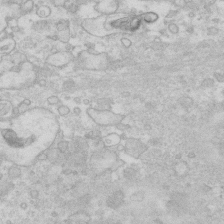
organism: Human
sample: Fibroblast cells